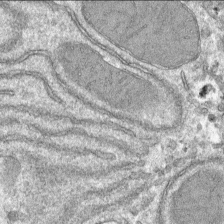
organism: Mouse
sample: Mouse hepatocytes